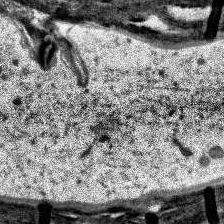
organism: Human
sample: Temporal Lobe